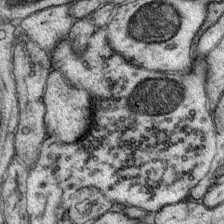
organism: Mouse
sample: Primary visual cortex